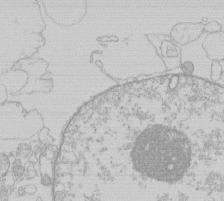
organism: Human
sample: Macrophage cells